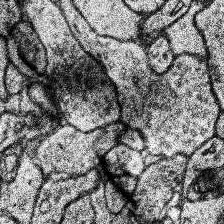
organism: Human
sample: Temporal Lobe